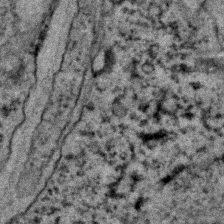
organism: C. elegans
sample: C. elegans embryo